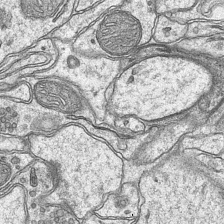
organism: Mouse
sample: CA1 Hippocampus